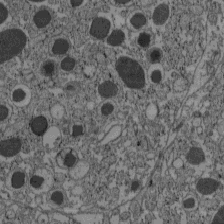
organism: C57BL Mouse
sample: Pancreatic islet